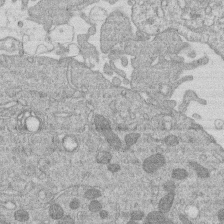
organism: Human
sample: Macrophage cells